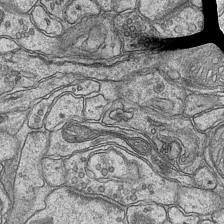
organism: Mouse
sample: CA1 Hippocampus